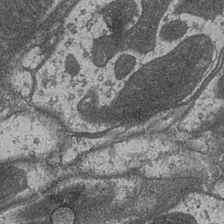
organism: Drosophila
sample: Optic medulla